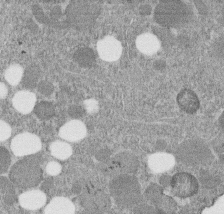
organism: C. elegans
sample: C. elegans embryo early stage